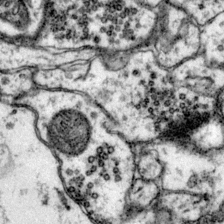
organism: Mouse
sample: Primary visual cortex